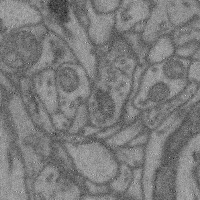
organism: Mouse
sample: Cerebral cortex